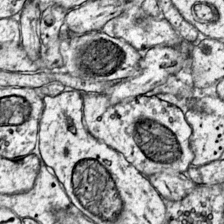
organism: Mouse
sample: Primary visual cortex